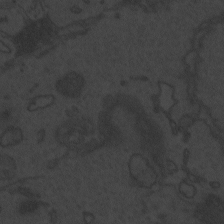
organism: Zebrafish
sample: Macrophage infected with Toxoplasma gondii